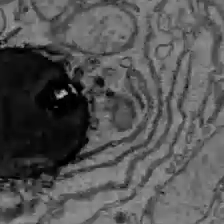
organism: C57BL Mouse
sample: Liver